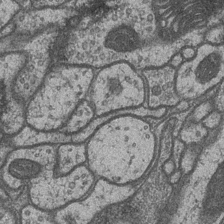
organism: Drosophila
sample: Optic medulla